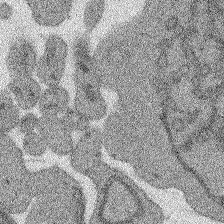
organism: Human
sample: HeLa cells